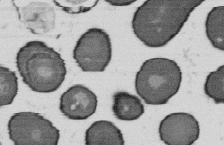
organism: B. subtilis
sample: Bacterial spore